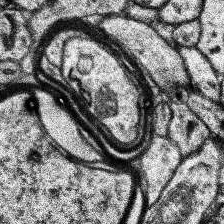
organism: Human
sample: Temporal Lobe